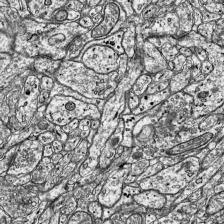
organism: Mouse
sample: Visual Cortex